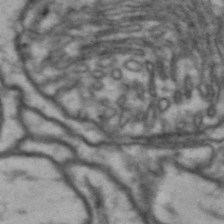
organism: Drosophila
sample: Brain